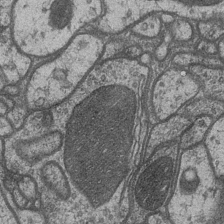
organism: Drosophila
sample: Optic medulla